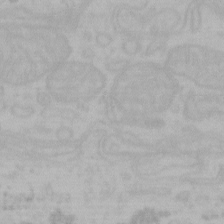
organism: Mouse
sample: Choroid plexus